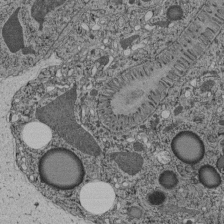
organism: C. elegans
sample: C. elegans pharynx